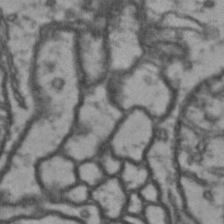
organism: Drosophila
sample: Brain